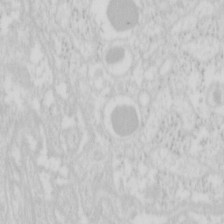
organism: Mouse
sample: Pancreas